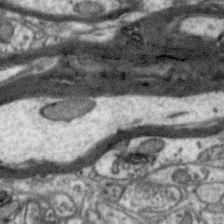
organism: Zebra finch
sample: Brain